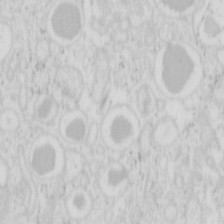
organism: Mouse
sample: Pancreas